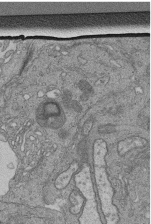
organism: Human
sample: Retinal organoid Rod and Cone cells